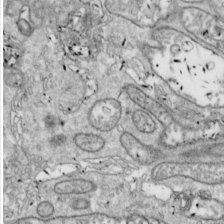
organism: Drosophila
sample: Cell division; meiosis; drosophila spermatocytes